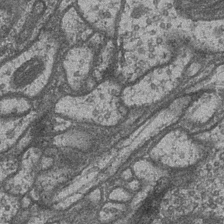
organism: Drosophila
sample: Optic medulla